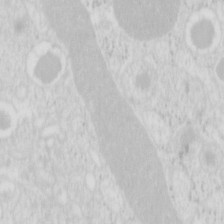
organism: Mouse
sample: Pancreas